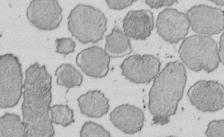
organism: E. coli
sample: Bacterial nucleoid